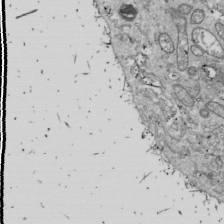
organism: Drosophila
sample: Cell division; meiosis; drosophila spermatocytes